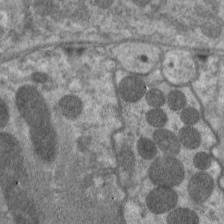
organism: C. elegans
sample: Pharynx